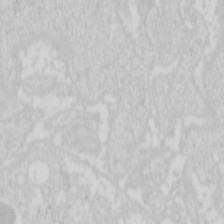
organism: Mouse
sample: Pancreas